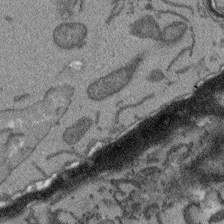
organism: Arabidopsis thaliana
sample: Root tip